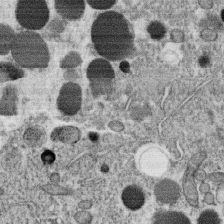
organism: C. elegans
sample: C. elegans oocyte; sperm cells